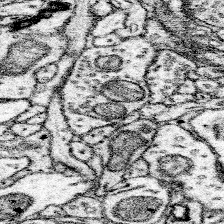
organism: Mouse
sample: Somatosensory cortex neuropil